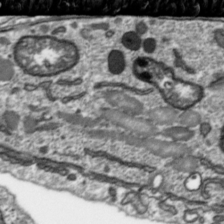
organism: Toxoplasma gondii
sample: Parasites in a vacuole inside a host cell